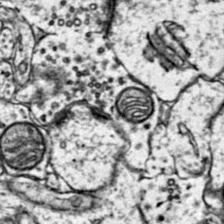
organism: Mouse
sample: Primary visual cortex